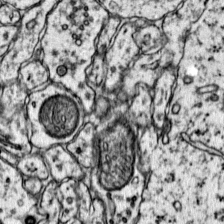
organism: Mouse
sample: Primary visual cortex